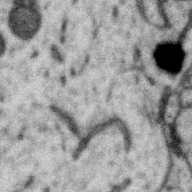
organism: Zebra finch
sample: Brain